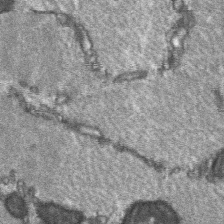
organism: C57BL Mouse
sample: Soleus